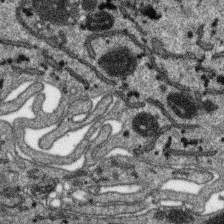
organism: Human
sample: Lung epithelial cells infected with SARS-CoV-2